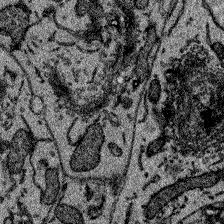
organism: Zebrafish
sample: Larval olfactory bulb